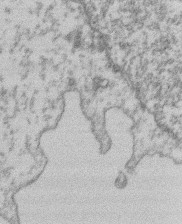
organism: Mouse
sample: T cell stromal cell synapse